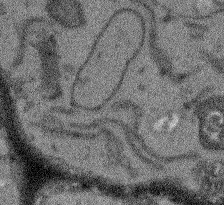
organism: Arabidopsis thaliana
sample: Root tip